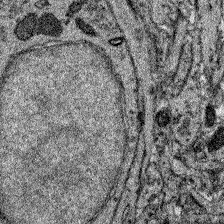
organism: Zebrafish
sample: Larval olfactory bulb